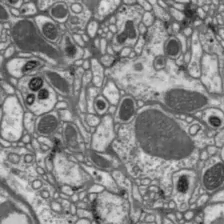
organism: Drosophila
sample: Protocerebral bridge